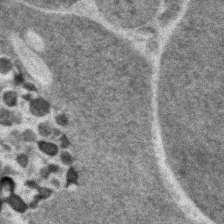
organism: Zebrafish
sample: Zebrafish embryo